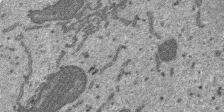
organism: Human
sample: Lung epithelial cells infected with SARS-CoV-2